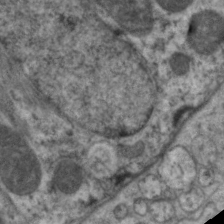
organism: C. elegans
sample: Pharynx